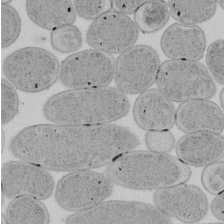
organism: E. coli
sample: Bacterial nucleoid